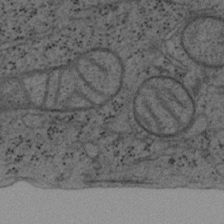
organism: Human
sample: HeLa cells